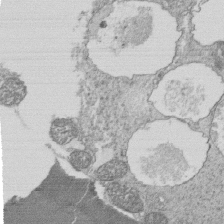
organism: Tetrahymena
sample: Cilia in tetrahymena